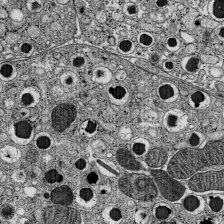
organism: C57BL Mouse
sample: Pancreatic islet